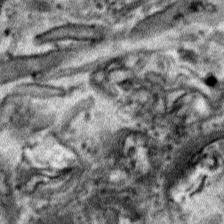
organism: Human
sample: Mitochondria in HCT116 cells